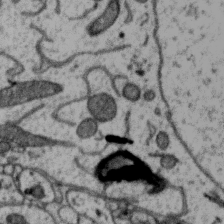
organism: Zebra finch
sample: Brain